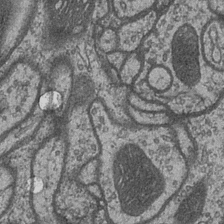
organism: Drosophila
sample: Optic medulla